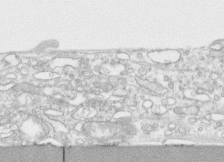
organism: Human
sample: CRL-1474